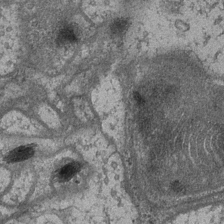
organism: Drosophila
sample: Optic medulla